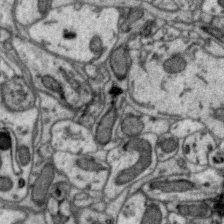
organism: Zebra finch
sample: Brain